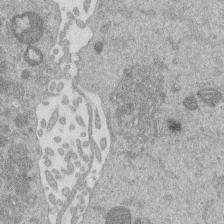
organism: Mouse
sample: Dividing mouse embryo 1 cell stage